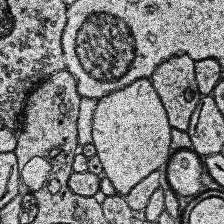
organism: Human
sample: Temporal Lobe